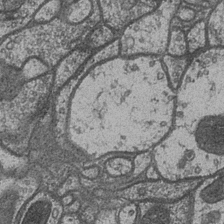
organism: Drosophila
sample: Optic medulla